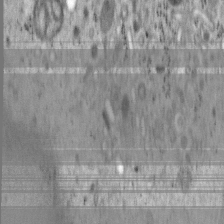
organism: Human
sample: HeLa cells